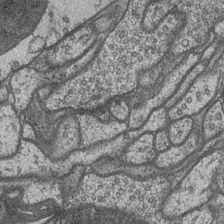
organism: Drosophila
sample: Optic medulla